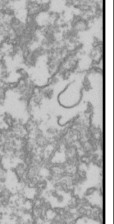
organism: Drosophila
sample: Cell division; meiosis; drosophila spermatocytes